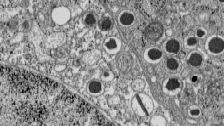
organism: C57BL Mouse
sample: Pancreatic islet